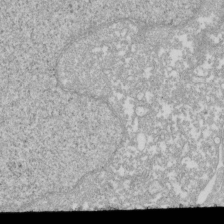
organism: Xenopus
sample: Cilia; centrioles in frog embryo cells